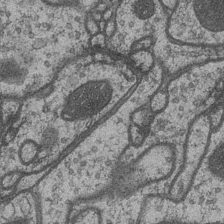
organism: Drosophila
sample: Optic medulla